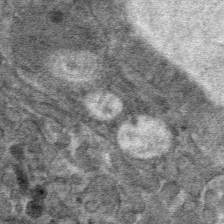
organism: Mouse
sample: Mouse hepatocytes